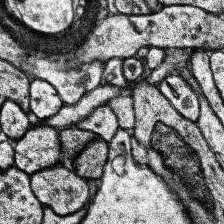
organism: Human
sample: Temporal Lobe